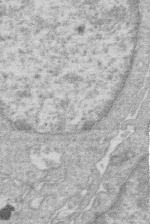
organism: Human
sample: Macrophage cells